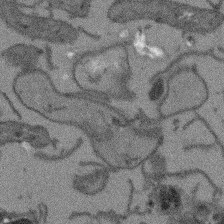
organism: Arabidopsis thaliana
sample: Root tip